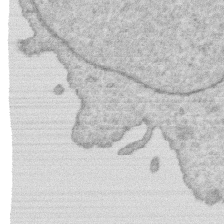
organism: Human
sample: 1205lu cells